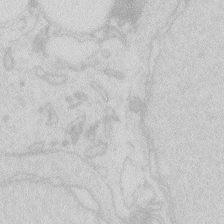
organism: Zebrafish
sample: Macrophage